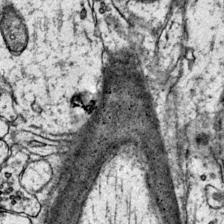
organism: Mouse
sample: Primary visual cortex